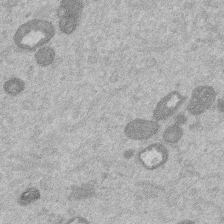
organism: Mouse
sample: Dividing mouse embryo 1 cell stage